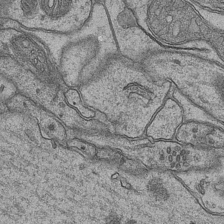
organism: Mouse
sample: CA1 Hippocampus